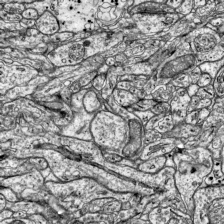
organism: Mouse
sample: Visual Cortex